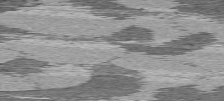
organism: C57BL Mouse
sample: Heart